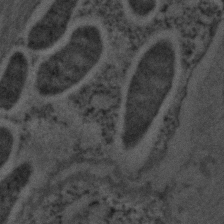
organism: C. elegans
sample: C. elegans embryo